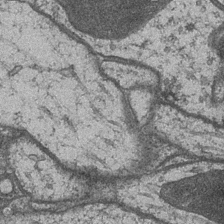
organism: Drosophila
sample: Optic medulla